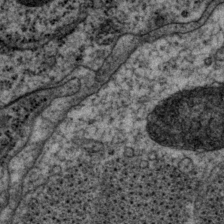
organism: P. pacificus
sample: Pharynx